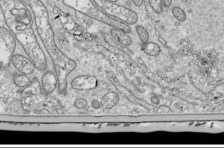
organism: Drosophila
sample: Cell division; meiosis; drosophila spermatocytes